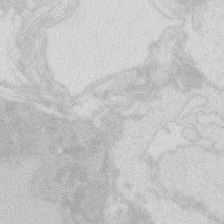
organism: Zebrafish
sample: Macrophage